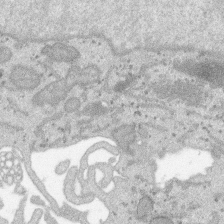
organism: Human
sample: Lung epithelial cells infected with SARS-CoV-2